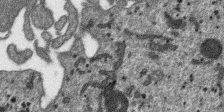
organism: Human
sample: Lung epithelial cells infected with SARS-CoV-2